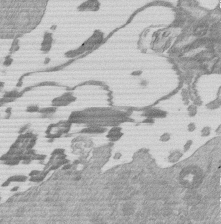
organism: Mouse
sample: Dividing mouse embryo 1 cell stage